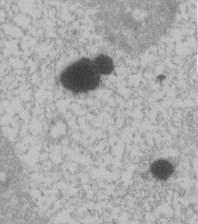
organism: Human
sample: U2-OS cells